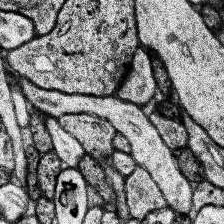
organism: Human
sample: Temporal Lobe